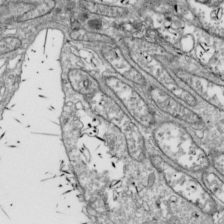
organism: Drosophila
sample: Cell division; meiosis; drosophila spermatocytes